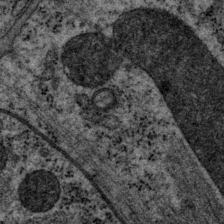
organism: P. pacificus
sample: Pharynx